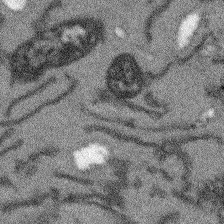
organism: Arabidopsis thaliana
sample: Root tip